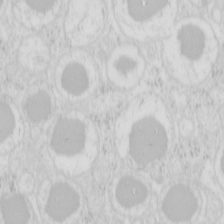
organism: Mouse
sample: Pancreas